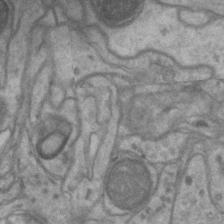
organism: Mouse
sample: CA1 Hippocampus